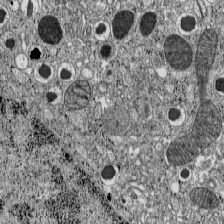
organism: C57BL Mouse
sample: Pancreatic islet